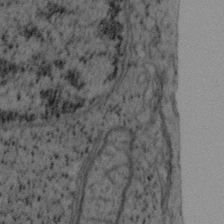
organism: Human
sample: HeLa cells